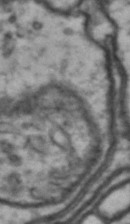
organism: Drosophila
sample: Brain